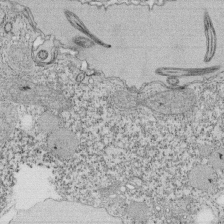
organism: Tetrahymena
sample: Cilia in tetrahymena